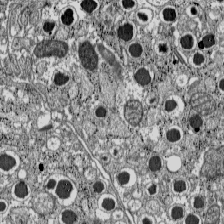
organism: C57BL Mouse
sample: Pancreatic islet